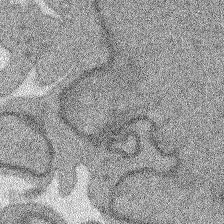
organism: Human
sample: HeLa cells